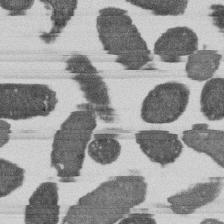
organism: E. coli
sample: Bacterial nucleoid